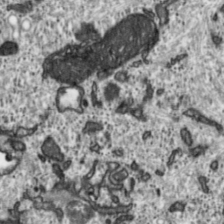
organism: Toxoplasma gondii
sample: Parasites in a vacuole inside a host cell